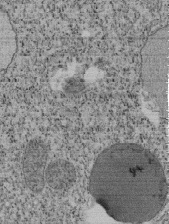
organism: Tetrahymena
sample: Cilia in tetrahymena